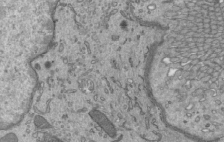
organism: Mouse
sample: Mouse epididymis efferent ductule cilia